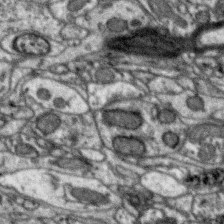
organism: Zebra finch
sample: Brain